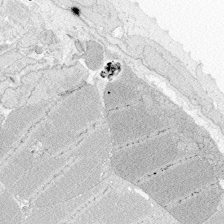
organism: Zebrafish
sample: Whole-Brain